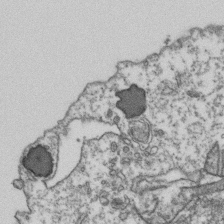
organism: Human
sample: Activated Jurkat CD4+ T cells